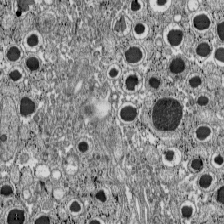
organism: C57BL Mouse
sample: Pancreatic islet